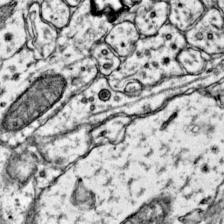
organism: Mouse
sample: Primary visual cortex